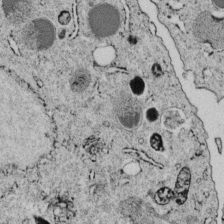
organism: C. elegans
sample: C. elegans embryo early stage